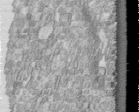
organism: Human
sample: Centriole in fibroblast cells